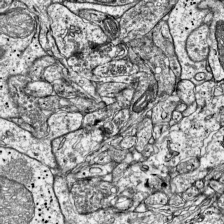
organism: Mouse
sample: Visual Cortex